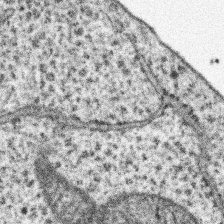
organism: Human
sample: HeLa cells